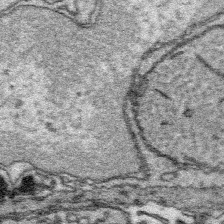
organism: Platynereis dumerilii